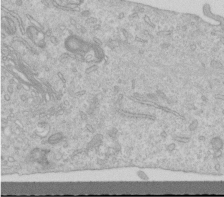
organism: Human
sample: Centriole in RPE cells